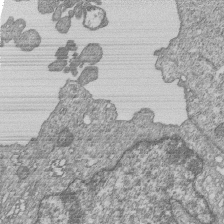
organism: Human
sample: MDA-MB-231 cells